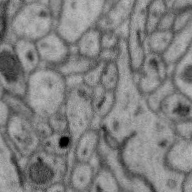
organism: Zebra finch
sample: Brain